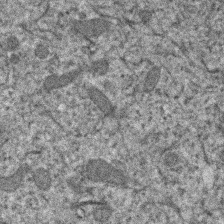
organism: Human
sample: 1205lu cells